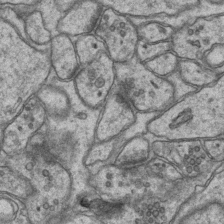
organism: Mouse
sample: CA1 Hippocampus